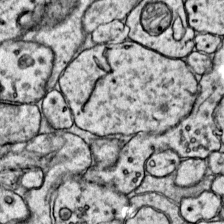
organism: Mouse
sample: Primary visual cortex